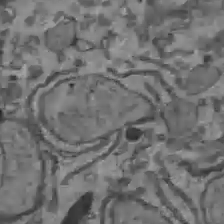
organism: C57BL Mouse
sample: Liver